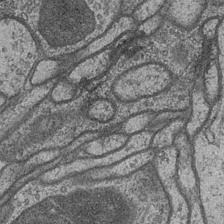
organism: Drosophila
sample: Optic medulla